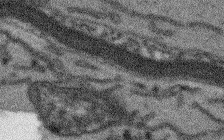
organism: Arabidopsis thaliana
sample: Root tip